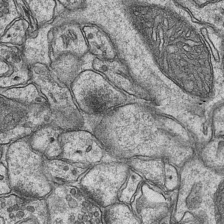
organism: Mouse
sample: CA1 Hippocampus